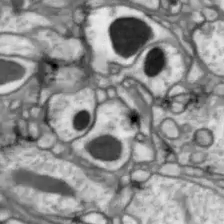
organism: Drosophila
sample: Optic lobe